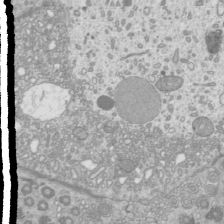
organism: Mouse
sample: Cilia; mouse epididymis